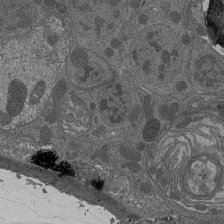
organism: Drosophila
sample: Antenna